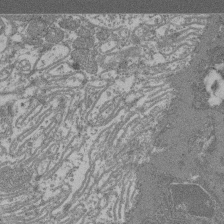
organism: Mouse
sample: Glomerulus